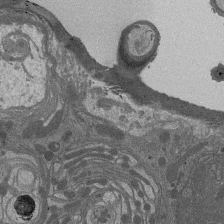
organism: Drosophila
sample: Antenna